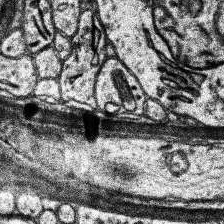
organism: Human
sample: Temporal Lobe